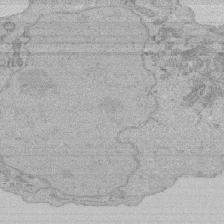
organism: Human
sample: Activated Jurkat CD4+ T cells